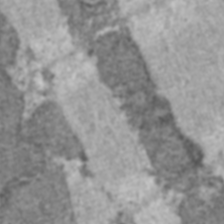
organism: C57BL Mouse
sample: Heart